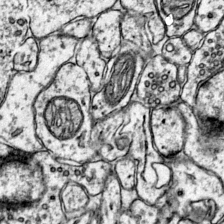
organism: Mouse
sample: Primary visual cortex